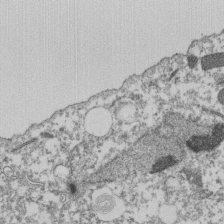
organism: Dictyostelium discoideum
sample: Dictyostelium multivesicular bodies